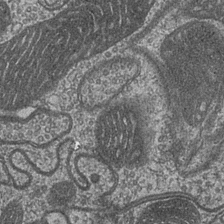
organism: Drosophila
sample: Optic medulla